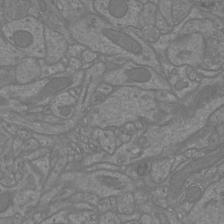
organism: Mouse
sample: Cortical neurons